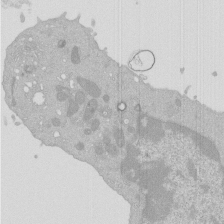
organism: Mouse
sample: Activated Pmel transgenic CD8+ T Cells